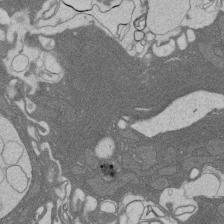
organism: Rat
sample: Salivary granule